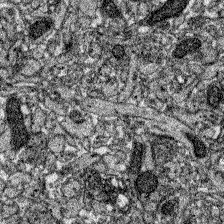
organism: Zebrafish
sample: Larval olfactory bulb